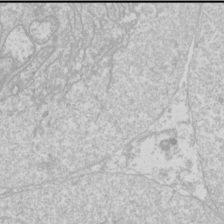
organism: Drosophila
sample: Cell division; meiosis; drosophila spermatocytes